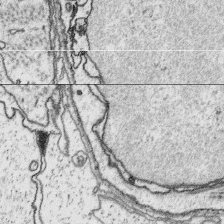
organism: Platynereis dumerilii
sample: Parapodia